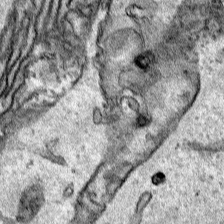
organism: Human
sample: Mitochondria in HCT116 cells